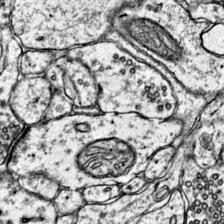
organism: Mouse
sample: Primary visual cortex